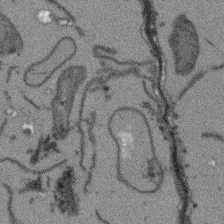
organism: Arabidopsis thaliana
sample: Root tip